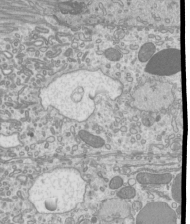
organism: Mouse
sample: Cilia; mouse epididymis